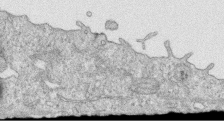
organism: Human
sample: HeLa cell HIV synapse